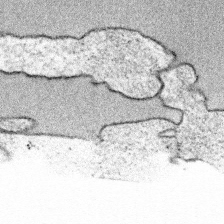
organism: Human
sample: HeLa cells